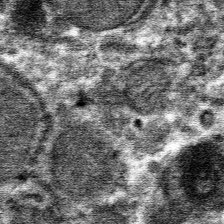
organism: Mouse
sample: Mouse hepatocytes